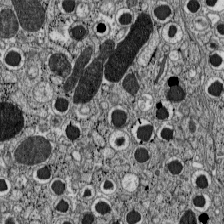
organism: C57BL Mouse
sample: Pancreatic islet